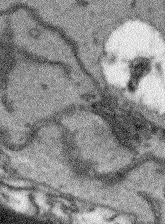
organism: Arabidopsis thaliana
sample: Root tip